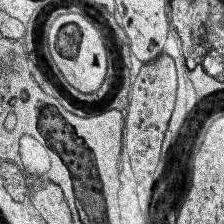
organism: Human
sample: Temporal Lobe